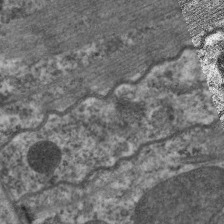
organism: C. elegans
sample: Pharynx